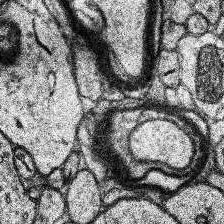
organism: Human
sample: Temporal Lobe